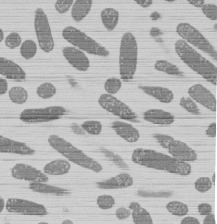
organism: E. coli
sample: Bacterial nucleoid